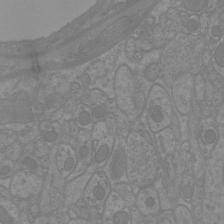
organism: Mouse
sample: Cortical neurons